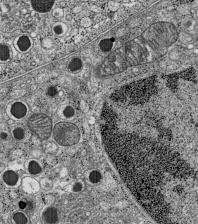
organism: C57BL Mouse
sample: Pancreatic islet